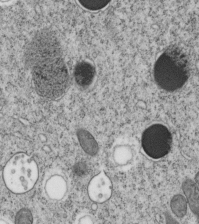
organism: C. elegans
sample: C. elegans embryo early stage